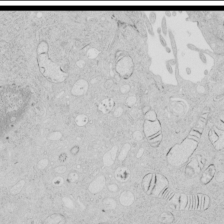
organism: Human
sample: Mitochondria in HCT116 cells